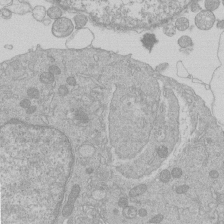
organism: Human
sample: Macrophage cells